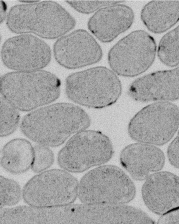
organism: E. coli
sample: Bacterial nucleoid